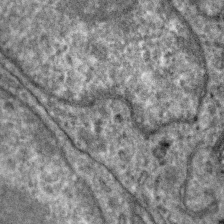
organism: Zebra finch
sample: Brain